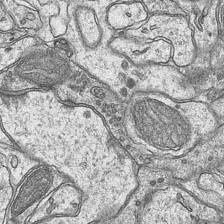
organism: Mouse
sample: CA1 Hippocampus